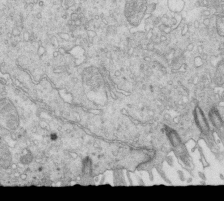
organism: Mouse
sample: Multiciliated cells